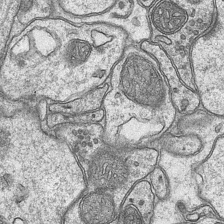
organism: Mouse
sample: CA1 Hippocampus